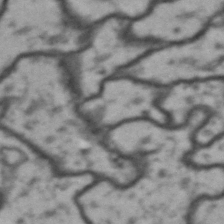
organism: Drosophila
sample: Brain